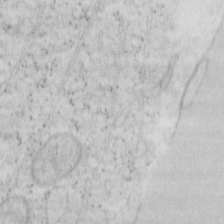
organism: Human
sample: HeLa cells